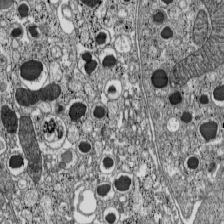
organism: C57BL Mouse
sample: Pancreatic islet